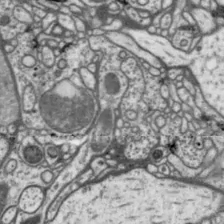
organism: Drosophila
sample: Protocerebral bridge